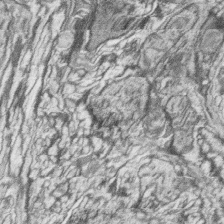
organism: Zebrafish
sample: synaptic ribbons in rod cells and cone cells